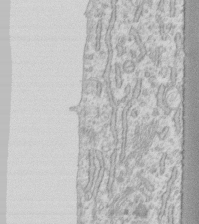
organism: Human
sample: Fibroblast cells